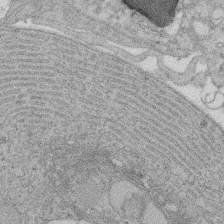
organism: Rat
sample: Salivary granule